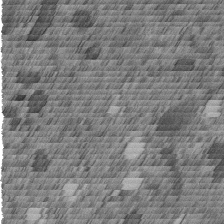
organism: C. elegans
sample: C. elegans embryo early stage